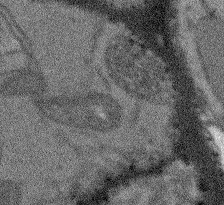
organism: Arabidopsis thaliana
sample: Root tip